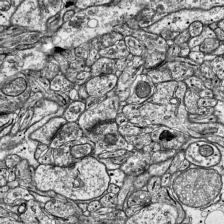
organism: Mouse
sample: Visual Cortex